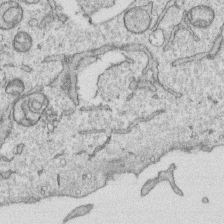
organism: Human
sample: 1205lu cells